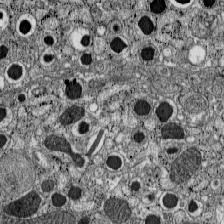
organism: C57BL Mouse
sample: Pancreatic islet